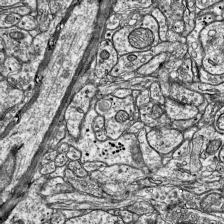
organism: Mouse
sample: Visual Cortex